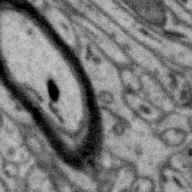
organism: Zebra finch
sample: Brain